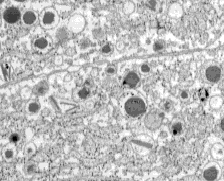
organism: C57BL Mouse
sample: Pancreatic islet